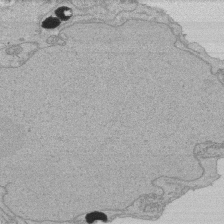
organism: Human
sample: Activated Jurkat CD4+ T cells